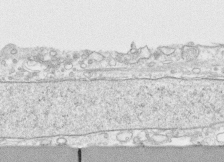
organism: Human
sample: CRL-1474